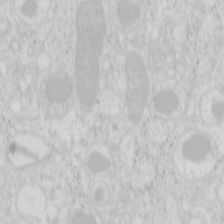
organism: Mouse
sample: Pancreas